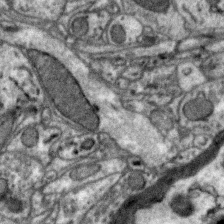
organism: Zebra finch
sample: Brain